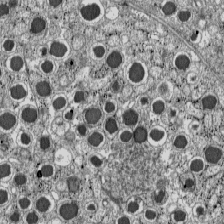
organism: C57BL Mouse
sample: Pancreatic islet